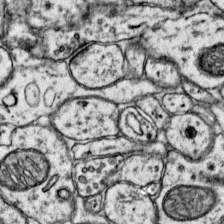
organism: Mouse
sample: Primary visual cortex